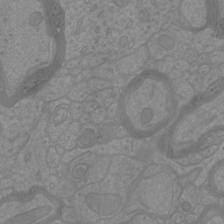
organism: Mouse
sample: Cortical neurons